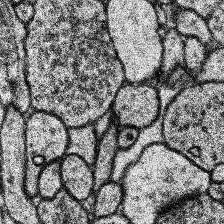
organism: Human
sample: Temporal Lobe